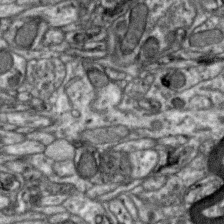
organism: Zebra finch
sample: Brain